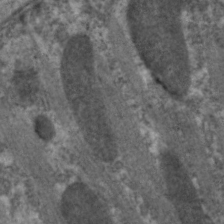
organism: C. elegans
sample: Pharynx